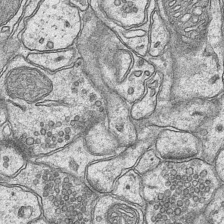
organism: Mouse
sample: CA1 Hippocampus